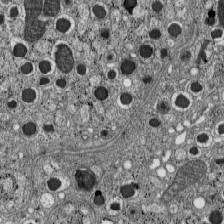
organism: C57BL Mouse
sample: Pancreatic islet